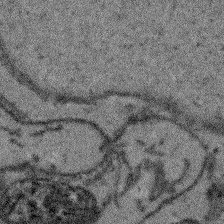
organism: Arabidopsis thaliana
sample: Root tip